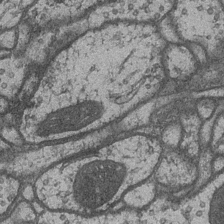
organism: Drosophila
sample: Optic medulla